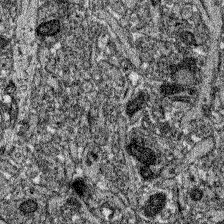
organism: Zebrafish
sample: Larval olfactory bulb